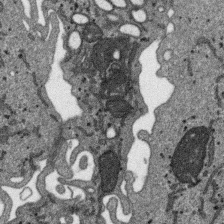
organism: Human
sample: Lung epithelial cells infected with SARS-CoV-2